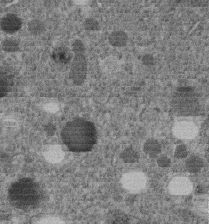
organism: C. elegans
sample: C. elegans embryo early stage